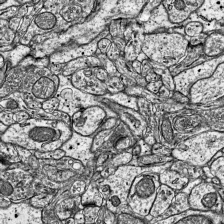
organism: Mouse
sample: Visual Cortex